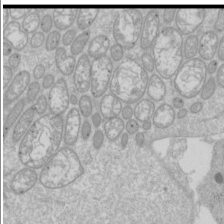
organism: Drosophila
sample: Cell division; meiosis; drosophila spermatocytes